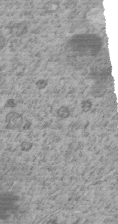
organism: C. elegans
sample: C. elegans embryo early stage